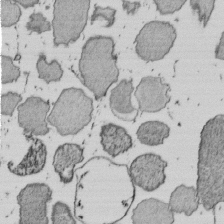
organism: E. coli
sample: Bacterial nucleoid